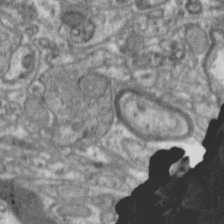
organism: Zebra finch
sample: Brain